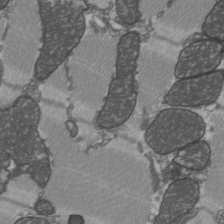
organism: C57BL Mouse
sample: Heart